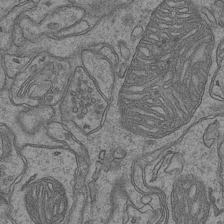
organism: Mouse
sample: CA1 Hippocampus